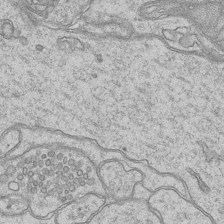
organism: Mouse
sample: CA1 Hippocampus